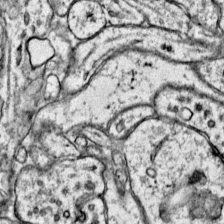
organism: Mouse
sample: Primary visual cortex